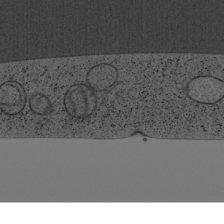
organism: African green monkey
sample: COS-7 cells